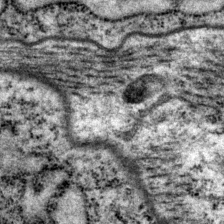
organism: P. pacificus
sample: Pharynx